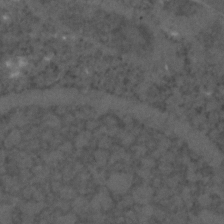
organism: C. elegans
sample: C. elegans embryo